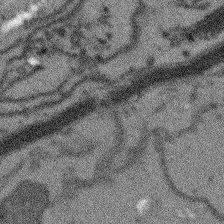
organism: Arabidopsis thaliana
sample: Root tip